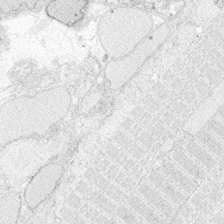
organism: Zebrafish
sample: Whole-Brain